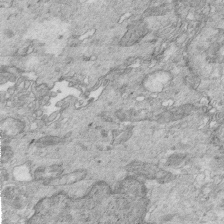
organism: Mouse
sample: Multiciliated cells